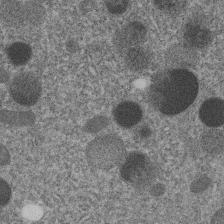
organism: C. elegans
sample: C. elegans embryo early stage